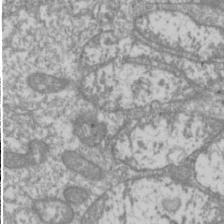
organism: Drosophila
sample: Cell division; meiosis; drosophila spermatocytes